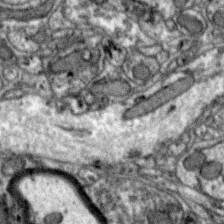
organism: Zebra finch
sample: Brain